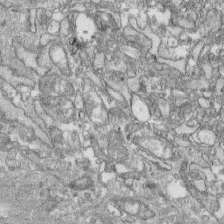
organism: Human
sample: CRL-1474